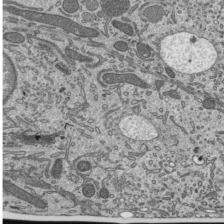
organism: Mouse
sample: Mouse epididymis efferent ductule cilia